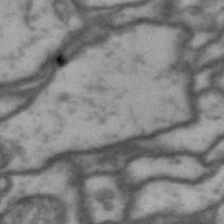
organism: Drosophila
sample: Brain